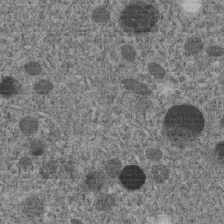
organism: C. elegans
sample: C. elegans embryo early stage